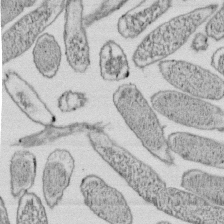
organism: E. coli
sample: Bacterial nucleoid